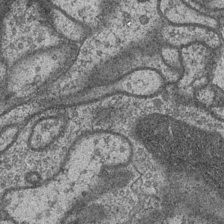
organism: Drosophila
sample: Optic medulla